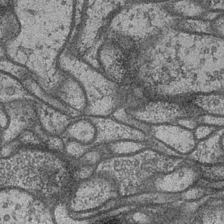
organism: Drosophila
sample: Optic medulla